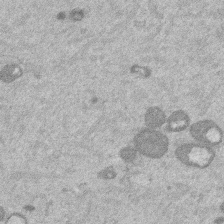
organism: Mouse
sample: Dividing mouse embryo 1 cell stage